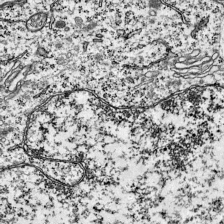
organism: Mouse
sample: Visual Cortex